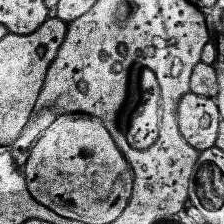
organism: Human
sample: Temporal Lobe